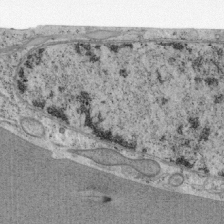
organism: Human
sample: HeLa cells